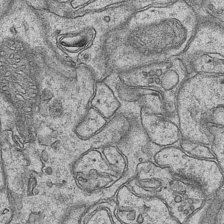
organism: Mouse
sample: CA1 Hippocampus